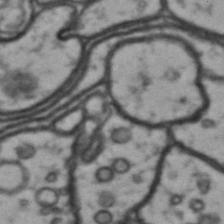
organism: Drosophila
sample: Brain